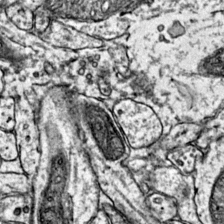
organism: Mouse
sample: Primary visual cortex